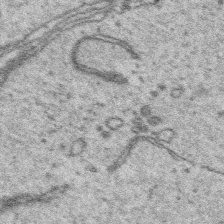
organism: Platynereis dumerilii